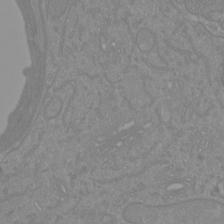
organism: Mouse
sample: Cortical neurons